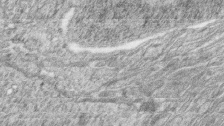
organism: Zebrafish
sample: synaptic ribbons in rod cells and cone cells